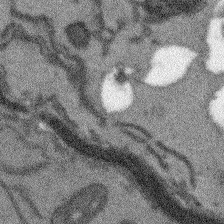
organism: Arabidopsis thaliana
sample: Root tip